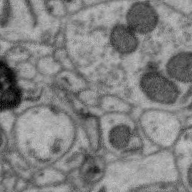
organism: Zebra finch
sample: Brain